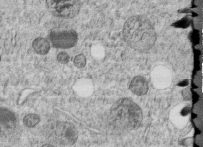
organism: C. elegans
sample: C. elegans embryo early stage